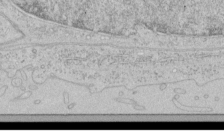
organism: Human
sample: Mitochondria in HCT116 cells